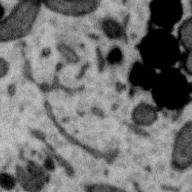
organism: Zebra finch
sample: Brain